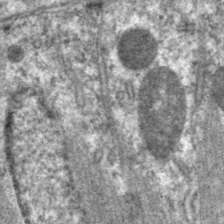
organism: C. elegans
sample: Pharynx